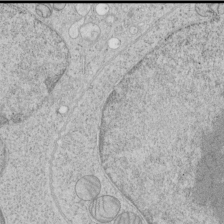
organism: Human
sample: Mitochondria in HCT116 cells